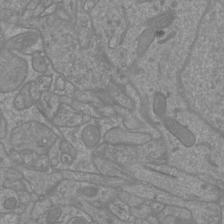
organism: Mouse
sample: Cortical neurons